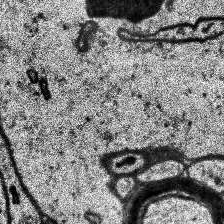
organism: Human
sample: Temporal Lobe